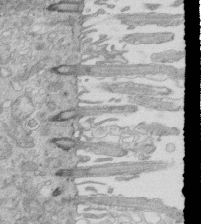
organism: Mouse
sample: Multiciliated cells